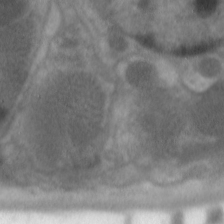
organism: C. elegans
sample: Pharynx